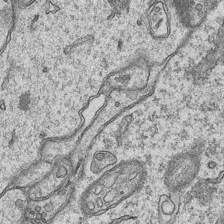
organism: Mouse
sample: CA1 Hippocampus